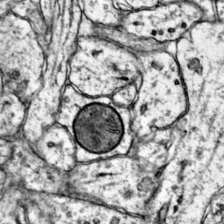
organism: Mouse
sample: Primary visual cortex